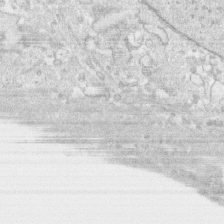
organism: Human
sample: CRL-1474